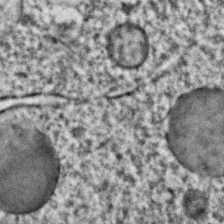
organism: C. elegans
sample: C. elegans embryo